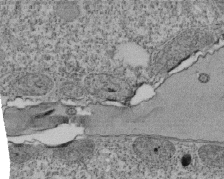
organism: Tetrahymena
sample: Cilia in tetrahymena